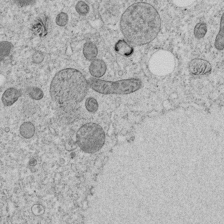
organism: C. elegans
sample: C. elegans embryo early stage